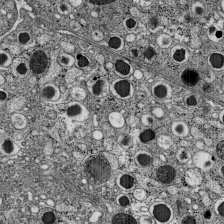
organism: C57BL Mouse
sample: Pancreatic islet